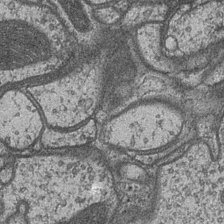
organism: Drosophila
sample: Optic medulla